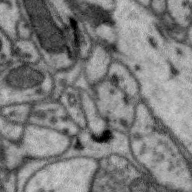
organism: Zebra finch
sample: Brain